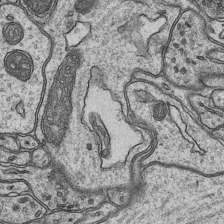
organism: Mouse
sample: CA1 Hippocampus